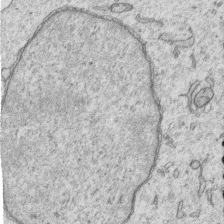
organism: Human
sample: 1205lu cells